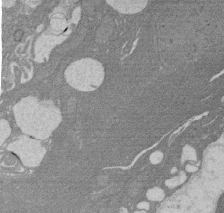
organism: Rat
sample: Salivary granule